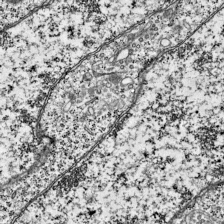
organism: Mouse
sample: Visual Cortex